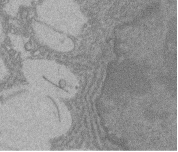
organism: Rat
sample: Salivary granule